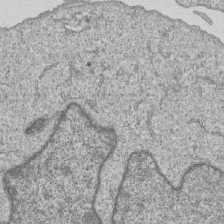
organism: Human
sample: MDA-MB-231 cells